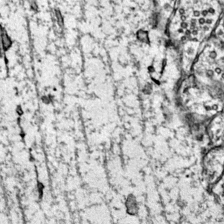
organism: Mouse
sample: Primary visual cortex